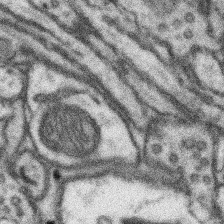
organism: Mouse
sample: Somatosensory cortex neuropil